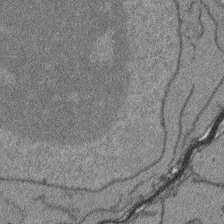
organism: Arabidopsis thaliana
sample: Root tip